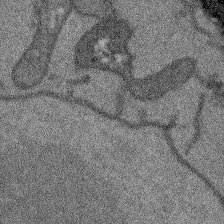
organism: Arabidopsis thaliana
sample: Root tip